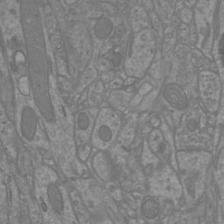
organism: Mouse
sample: Cortical neurons